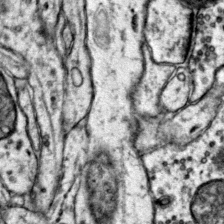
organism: Mouse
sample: Primary visual cortex